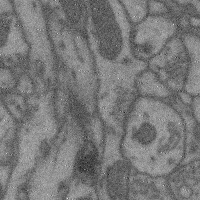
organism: Mouse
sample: Cerebral cortex